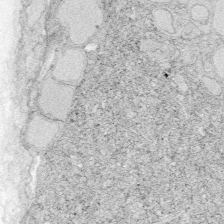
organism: Zebrafish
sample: Whole-Brain